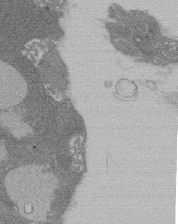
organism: Rat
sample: Salivary granule